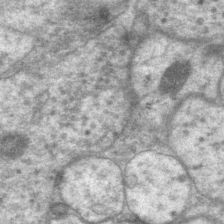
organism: P. pacificus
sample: Pharynx